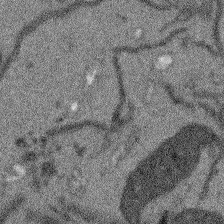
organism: Arabidopsis thaliana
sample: Root tip